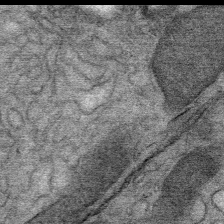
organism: Mouse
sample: Mouse Salivary gland